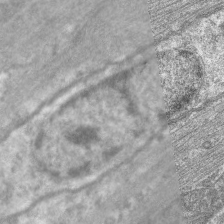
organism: C. elegans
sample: Pharynx